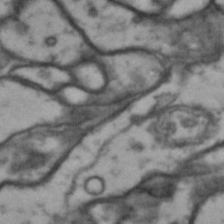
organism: Drosophila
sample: Brain